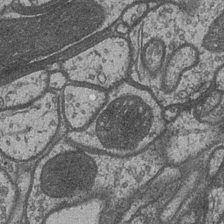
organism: Drosophila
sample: Optic medulla